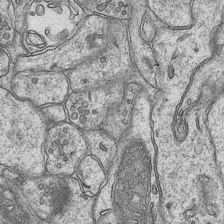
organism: Mouse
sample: CA1 Hippocampus